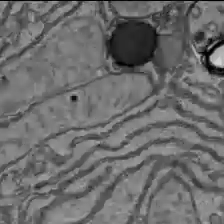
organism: C57BL Mouse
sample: Liver